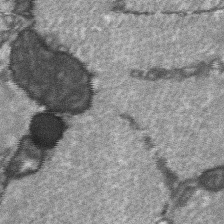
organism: C57BL Mouse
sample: Soleus